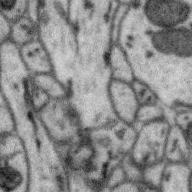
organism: Zebra finch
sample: Brain